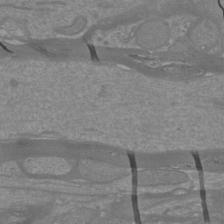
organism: Mouse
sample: Cortical neurons